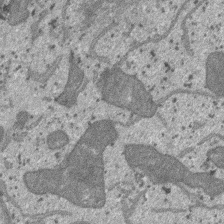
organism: Human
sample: Lung epithelial cells infected with SARS-CoV-2